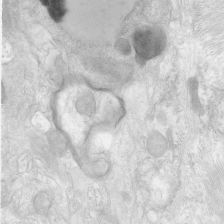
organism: Human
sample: Neocortex